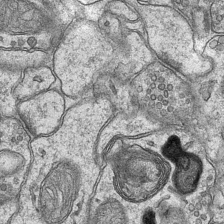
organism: Mouse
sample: CA1 Hippocampus